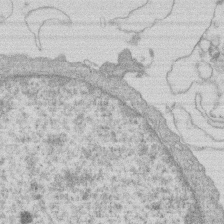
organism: Human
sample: Macrophage cells